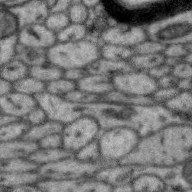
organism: Zebra finch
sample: Brain